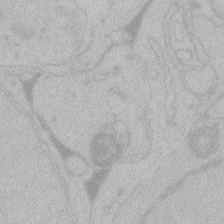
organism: Zebrafish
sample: Macrophage infected with Toxoplasma gondii